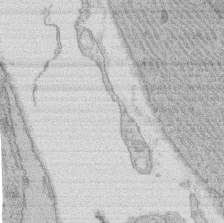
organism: Rat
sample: Salivary granule